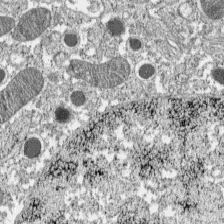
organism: C57BL Mouse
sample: Pancreatic islet